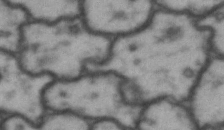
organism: Drosophila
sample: Brain